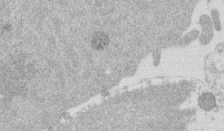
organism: Mouse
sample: Dividing mouse embryo 1 cell stage